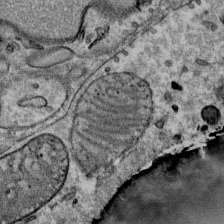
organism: Mouse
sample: Mouse Salivary gland